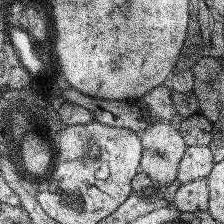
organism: Human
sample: Temporal Lobe